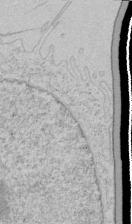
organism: Human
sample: Mitochondria in HCT116 cells